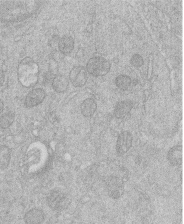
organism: Human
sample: Macrophage cells